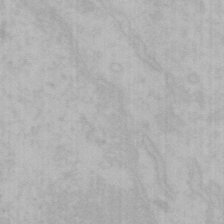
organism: Mouse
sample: Choroid plexus